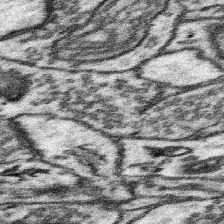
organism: Mouse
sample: Somatosensory cortex neuropil